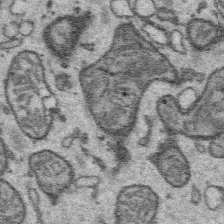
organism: Platynereis dumerilii